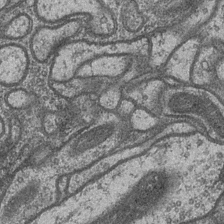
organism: Drosophila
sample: Optic medulla